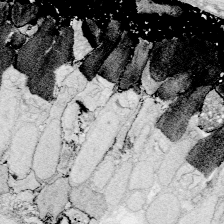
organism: Zebrafish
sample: Whole-Brain